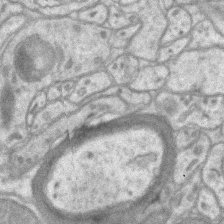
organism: Mouse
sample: CA1 Hippocampus